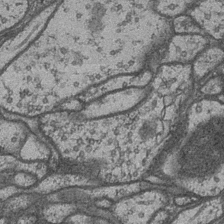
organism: Drosophila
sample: Optic medulla